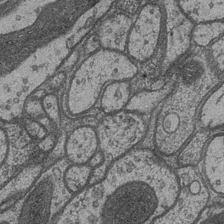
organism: Drosophila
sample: Optic medulla